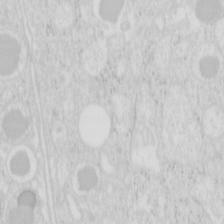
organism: Mouse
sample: Pancreas